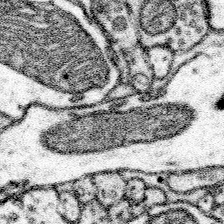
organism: Mouse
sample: Somatosensory cortex neuropil